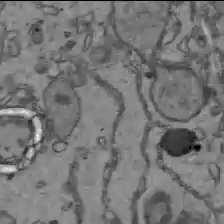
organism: C57BL Mouse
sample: Liver